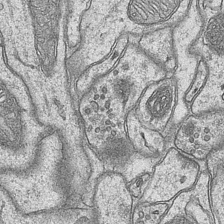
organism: Mouse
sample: CA1 Hippocampus